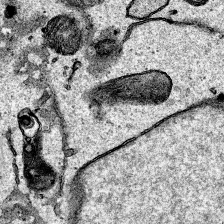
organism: Human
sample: Mitochondria in HCT116 cells